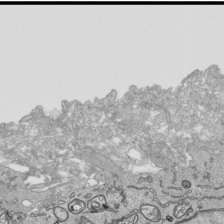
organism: Human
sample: Mitochondria in HCT116 cells